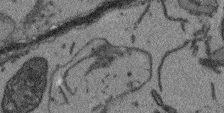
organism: Arabidopsis thaliana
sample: Root tip